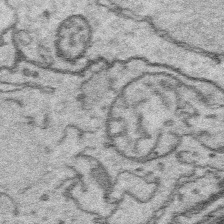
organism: Platynereis dumerilii